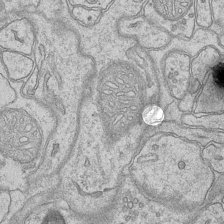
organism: Mouse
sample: CA1 Hippocampus